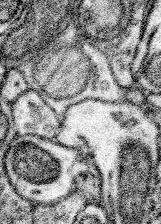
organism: Mouse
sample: Somatosensory cortex neuropil